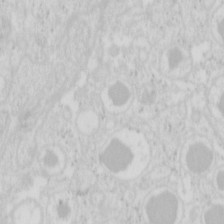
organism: Mouse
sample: Pancreas